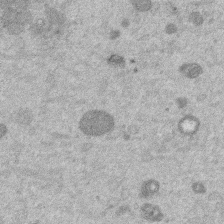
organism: Mouse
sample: Dividing mouse embryo 1 cell stage